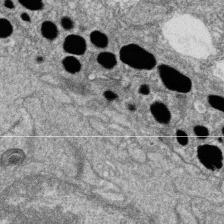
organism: Zebrafish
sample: Cilia; retinal pigment epithelium